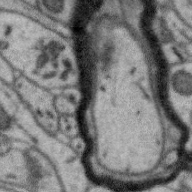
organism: Zebra finch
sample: Brain